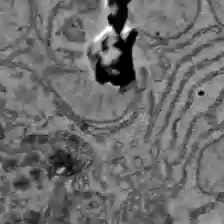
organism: C57BL Mouse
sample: Liver